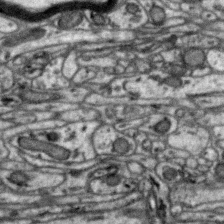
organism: Zebra finch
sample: Brain